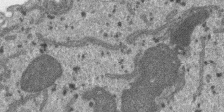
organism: Human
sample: Lung epithelial cells infected with SARS-CoV-2